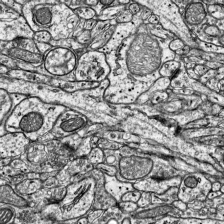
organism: Mouse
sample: Visual Cortex